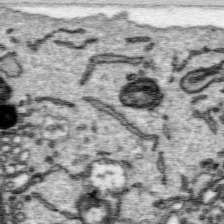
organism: Human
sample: HeLa cells